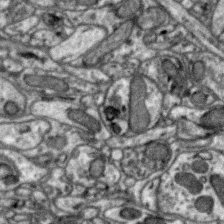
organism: Zebra finch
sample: Brain